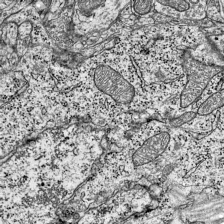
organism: Mouse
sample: Visual Cortex